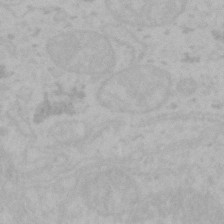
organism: Mouse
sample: Choroid plexus